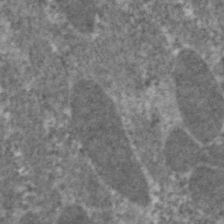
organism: C. elegans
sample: Pharynx